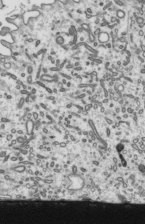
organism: Mouse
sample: Mouse epididymis efferent ductule cilia